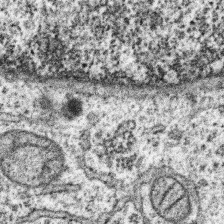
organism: Human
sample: HeLa cells